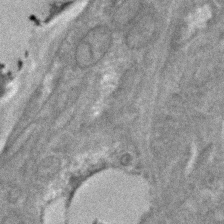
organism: C. elegans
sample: C. elegans embryo